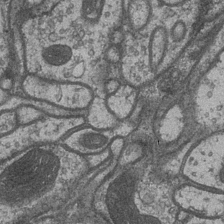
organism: Drosophila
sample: Optic medulla